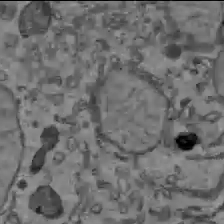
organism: C57BL Mouse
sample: Liver